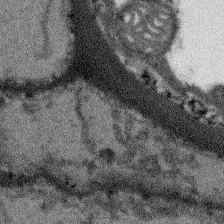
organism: Arabidopsis thaliana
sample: Root tip